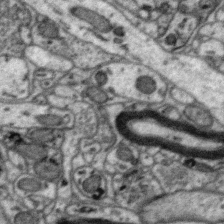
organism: Zebra finch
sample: Brain